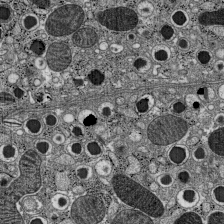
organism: C57BL Mouse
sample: Pancreatic islet